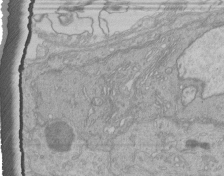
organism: Human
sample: Retinal organoid Rod and Cone cells